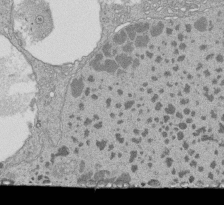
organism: Tetrahymena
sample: Cilia in tetrahymena